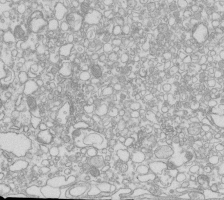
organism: Mouse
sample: Macrophages